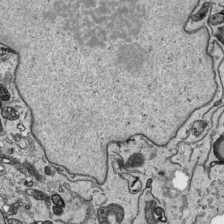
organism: Human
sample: Mitochondria in HCT116 cells